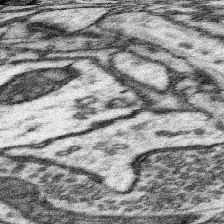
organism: Mouse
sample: Somatosensory cortex neuropil